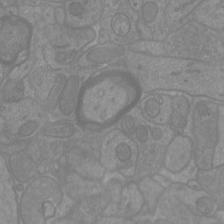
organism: Mouse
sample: Cortical neurons